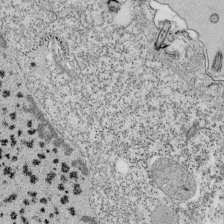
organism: Tetrahymena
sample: Cilia in tetrahymena